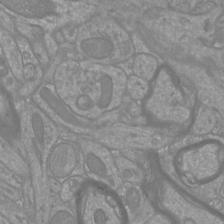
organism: Mouse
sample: Cortical neurons